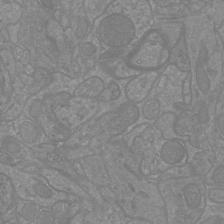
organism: Mouse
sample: Cortical neurons